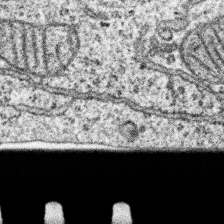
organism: Human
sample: HeLa cells